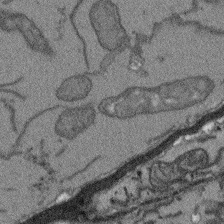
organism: Arabidopsis thaliana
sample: Root tip